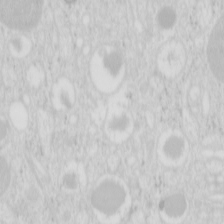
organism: Mouse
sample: Pancreas